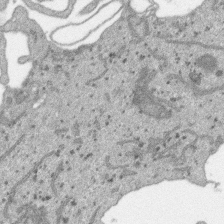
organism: Human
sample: Lung epithelial cells infected with SARS-CoV-2